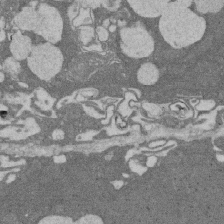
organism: Rat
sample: Salivary granule